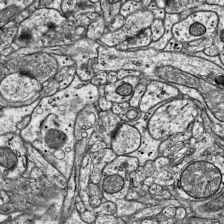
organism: Mouse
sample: Visual Cortex